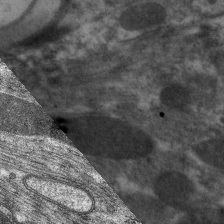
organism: C. elegans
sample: Pharynx